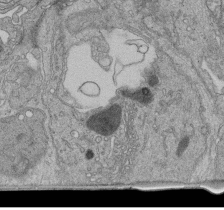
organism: Human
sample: Retinal organoid Rod and Cone cells